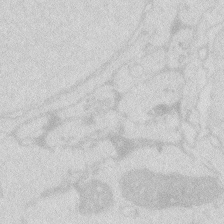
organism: Zebrafish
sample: Macrophage